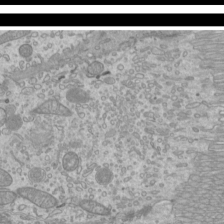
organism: Mouse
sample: Cilia; mouse epididymis